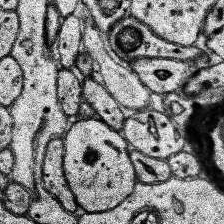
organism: Human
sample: Temporal Lobe